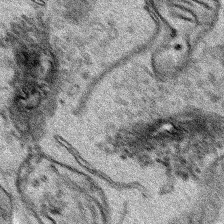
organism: Human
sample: Mitochondria in HCT116 cells